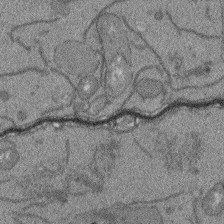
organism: Arabidopsis thaliana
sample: Root tip